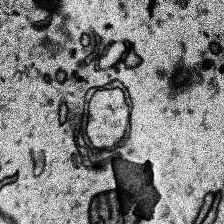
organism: Human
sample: Temporal Lobe